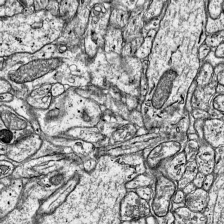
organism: Mouse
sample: Visual Cortex